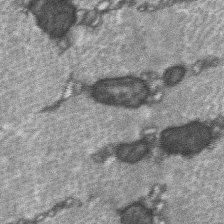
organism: C57BL Mouse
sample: Soleus